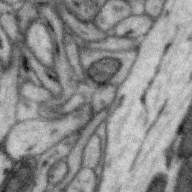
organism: Zebra finch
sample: Brain